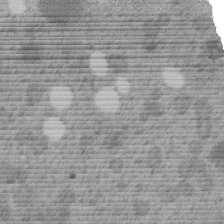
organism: C. elegans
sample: C. elegans embryo early stage